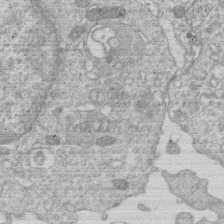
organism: Human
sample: Macrophage cells